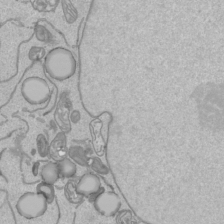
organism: Human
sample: Mitochondria in HCT116 cells